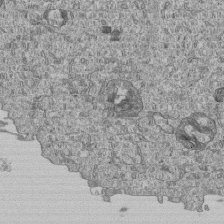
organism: Human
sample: MDA-MB-231 cells